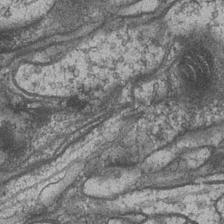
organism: Drosophila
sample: Optic medulla